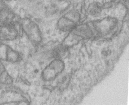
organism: Human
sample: Centriole in RPE cells